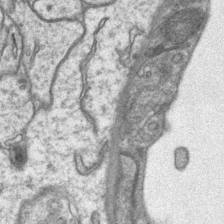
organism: Mouse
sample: CA1 Hippocampus